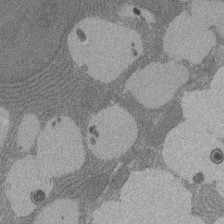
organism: Rat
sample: Salivary granule